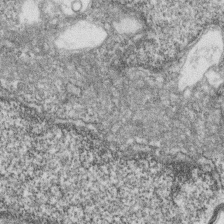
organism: Zebrafish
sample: Cilia; retinal pigment epithelium